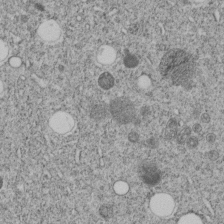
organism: C. elegans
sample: C. elegans embryo early stage